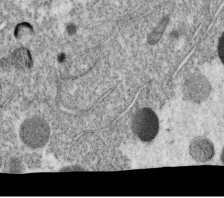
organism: C. elegans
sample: C. elegans oocyte; sperm cells